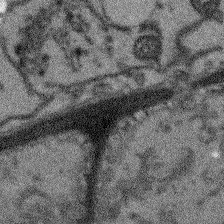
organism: Arabidopsis thaliana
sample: Root tip